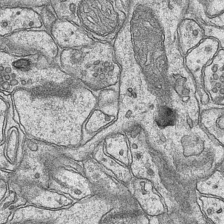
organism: Mouse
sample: CA1 Hippocampus